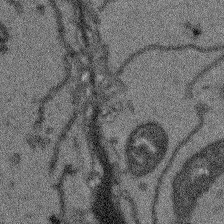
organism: Arabidopsis thaliana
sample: Root tip